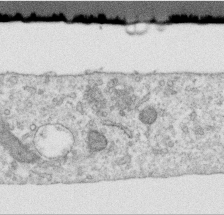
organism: Human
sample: Centriole in RPE cells